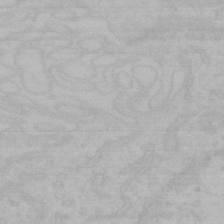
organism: Mouse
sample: Choroid plexus